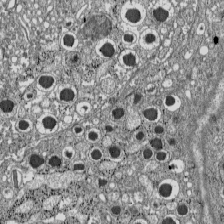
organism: C57BL Mouse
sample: Pancreatic islet